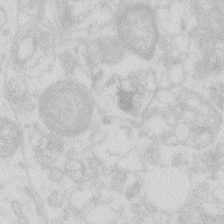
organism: Zebrafish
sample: Macrophage